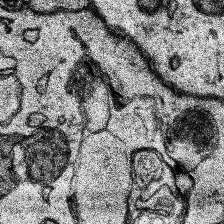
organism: Human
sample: Temporal Lobe